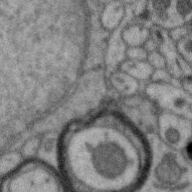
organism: Zebra finch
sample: Brain